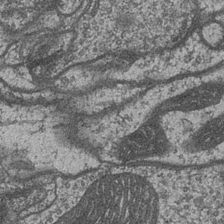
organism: Drosophila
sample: Optic medulla